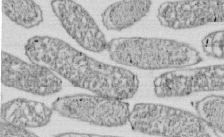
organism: E. coli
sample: Bacterial nucleoid